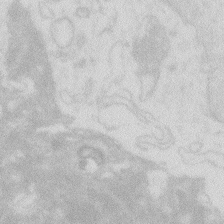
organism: Zebrafish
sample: Macrophage